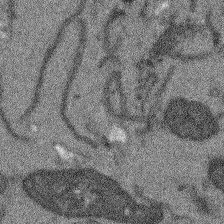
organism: Arabidopsis thaliana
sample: Root tip